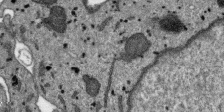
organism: Human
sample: Lung epithelial cells, uninfected (mock) control